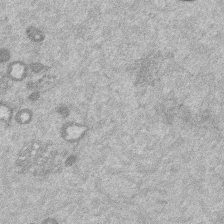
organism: Mouse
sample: Dividing mouse embryo 1 cell stage